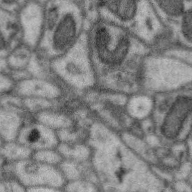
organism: Zebra finch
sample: Brain